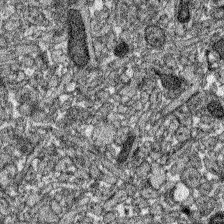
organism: Zebrafish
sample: Larval olfactory bulb